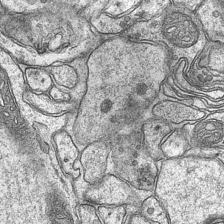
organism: Mouse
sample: CA1 Hippocampus